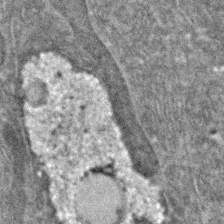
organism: C. elegans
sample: C. elegans embryo